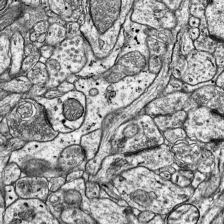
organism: Mouse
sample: Visual Cortex